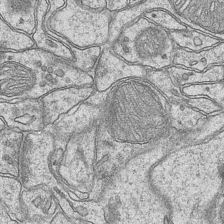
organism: Mouse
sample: CA1 Hippocampus